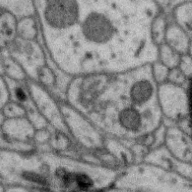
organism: Zebra finch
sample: Brain